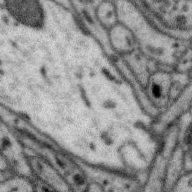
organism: Zebra finch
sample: Brain